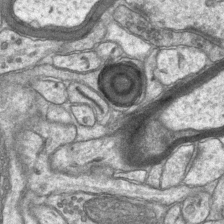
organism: Mouse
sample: CA1 Hippocampus